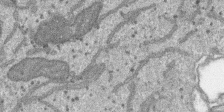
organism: Human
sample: Lung epithelial cells infected with SARS-CoV-2